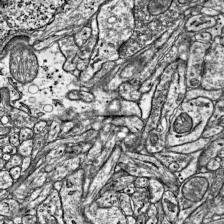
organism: Mouse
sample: Visual Cortex